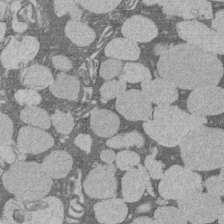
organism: Rat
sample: Salivary granule